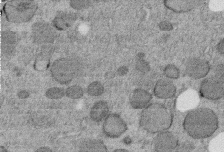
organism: C. elegans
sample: C. elegans embryo early stage